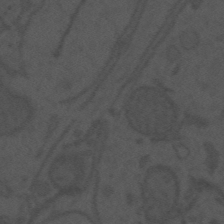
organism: Mouse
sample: Suprachiasmatic nucleus